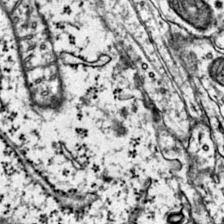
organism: Mouse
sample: Primary visual cortex